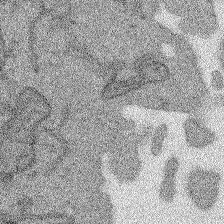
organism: Human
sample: HeLa cells